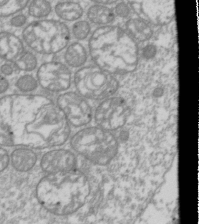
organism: Drosophila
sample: Cell division; meiosis; drosophila spermatocytes